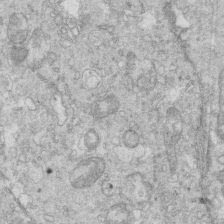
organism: Mouse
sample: Multiciliated cells